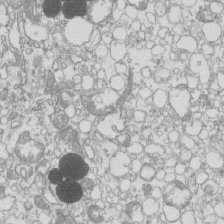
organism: Mouse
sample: Macrophages